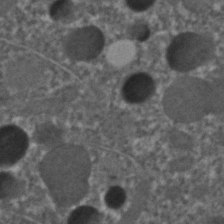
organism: C. elegans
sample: C. elegans embryo